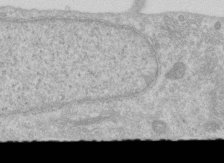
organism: Human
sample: Centriole in RPE cells